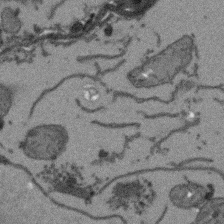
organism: Arabidopsis thaliana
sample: Root tip